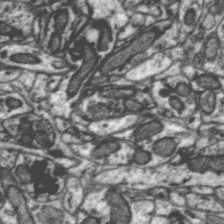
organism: Zebra finch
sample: Brain